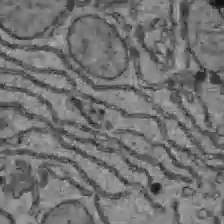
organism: C57BL Mouse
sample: Liver